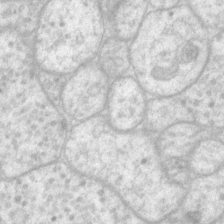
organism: P. pacificus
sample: Pharynx